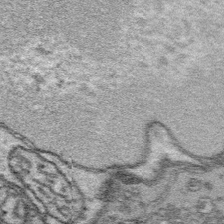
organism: Platynereis dumerilii